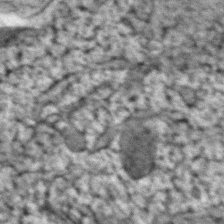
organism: Zebrafish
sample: Zebrafish embryo